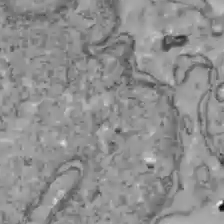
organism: C57BL Mouse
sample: Liver